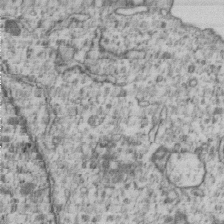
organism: Human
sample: MDA-MB-231 cells